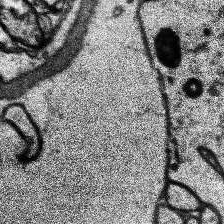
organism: Human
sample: Temporal Lobe